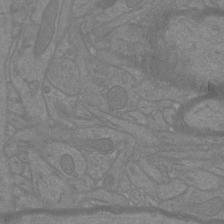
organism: Mouse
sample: Cortical neurons